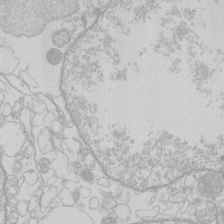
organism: Human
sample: Macrophage cells